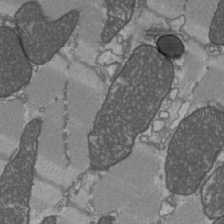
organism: C57BL Mouse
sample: Heart